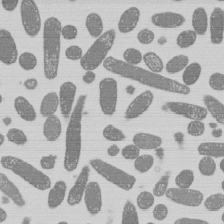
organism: E. coli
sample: Bacterial nucleoid